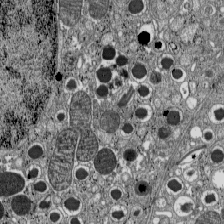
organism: C57BL Mouse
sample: Pancreatic islet